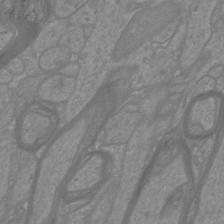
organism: Mouse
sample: Cortical neurons